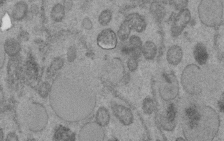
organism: C. elegans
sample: C. elegans embryo early stage